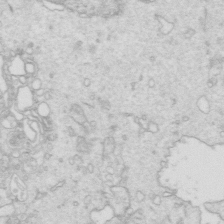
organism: Mouse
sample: Multiciliated cells